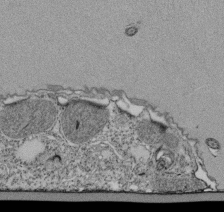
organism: Tetrahymena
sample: Cilia in tetrahymena